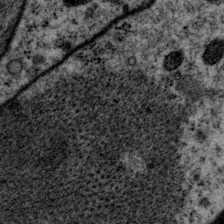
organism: P. pacificus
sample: Pharynx